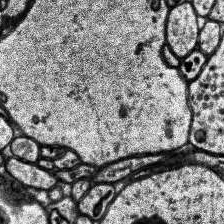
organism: Human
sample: Temporal Lobe